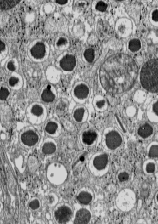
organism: C57BL Mouse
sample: Pancreatic islet